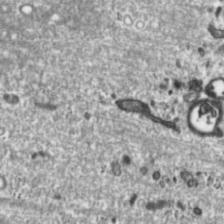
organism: Toxoplasma gondii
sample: Parasites in a vacuole inside a host cell